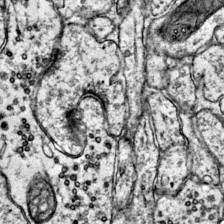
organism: Mouse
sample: Primary visual cortex